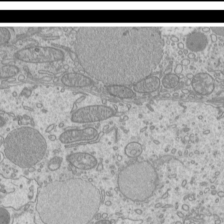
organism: Mouse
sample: Cilia; mouse epididymis